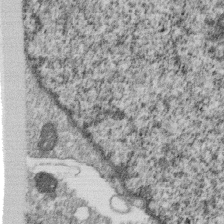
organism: African green monkey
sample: Vero E6 cells infected with SARS-CoV-2